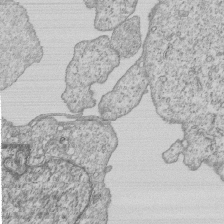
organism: Human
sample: MDA-MB-231 cells